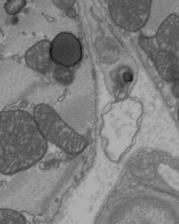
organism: C57BL Mouse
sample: Heart